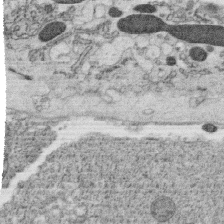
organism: C. elegans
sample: C. elegans oocyte; sperm cells